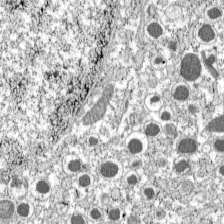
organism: C57BL Mouse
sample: Pancreatic islet